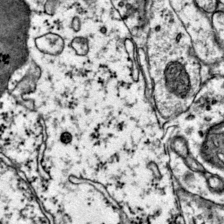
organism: Mouse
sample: Primary visual cortex